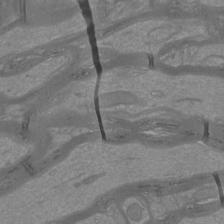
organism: Mouse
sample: Cortical neurons